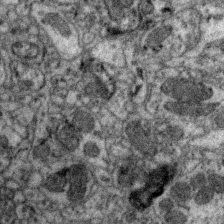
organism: Zebra finch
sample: Brain